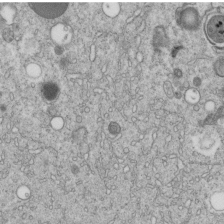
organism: C. elegans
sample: C. elegans embryo early stage